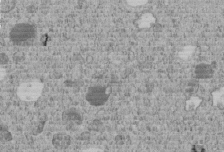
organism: C. elegans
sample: C. elegans embryo early stage